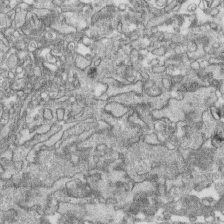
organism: Human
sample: CRL-1474